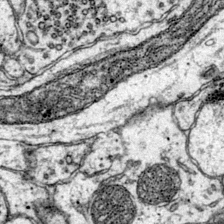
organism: Mouse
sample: Primary visual cortex